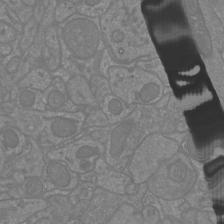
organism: Mouse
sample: Cortical neurons